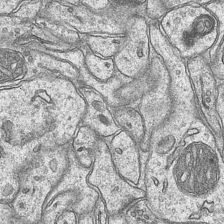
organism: Mouse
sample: CA1 Hippocampus